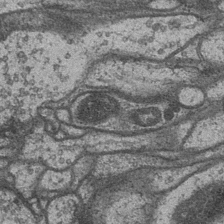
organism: Drosophila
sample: Optic medulla